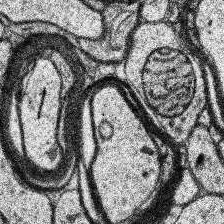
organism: Human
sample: Temporal Lobe